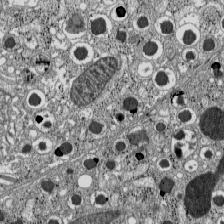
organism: C57BL Mouse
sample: Pancreatic islet